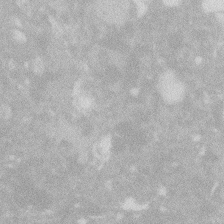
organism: Zebrafish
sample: Macrophage